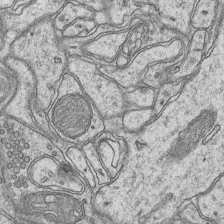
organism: Mouse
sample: CA1 Hippocampus